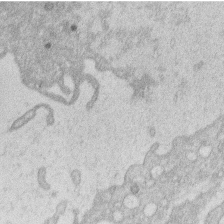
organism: Human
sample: Macrophage cells